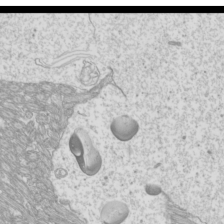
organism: Mouse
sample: Cilia; mouse epididymis